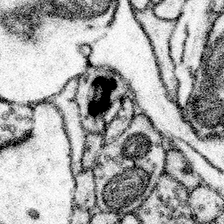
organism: Mouse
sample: Somatosensory cortex neuropil